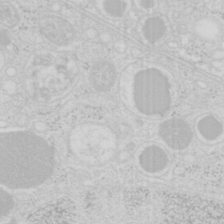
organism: Mouse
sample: Pancreas